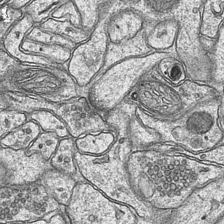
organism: Mouse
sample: CA1 Hippocampus